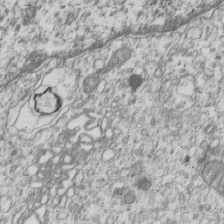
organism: Human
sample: MDA-MB-231 cells